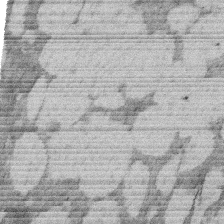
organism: Rat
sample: Salivary granule